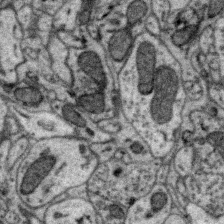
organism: Zebra finch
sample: Brain